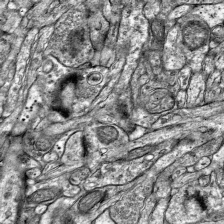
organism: Mouse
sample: Visual Cortex